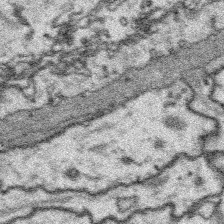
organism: Platynereis dumerilii